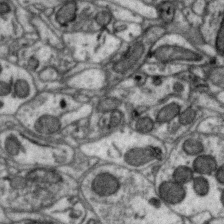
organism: Zebra finch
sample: Brain